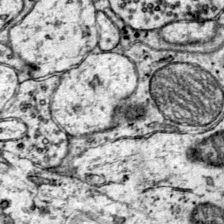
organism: Mouse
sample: Primary visual cortex